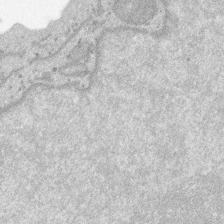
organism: Human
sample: Lung epithelial cells infected with SARS-CoV-2